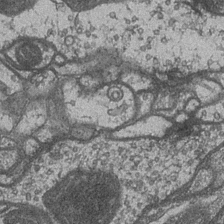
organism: Drosophila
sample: Optic medulla